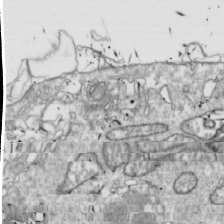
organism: Drosophila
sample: Cell division; meiosis; drosophila spermatocytes